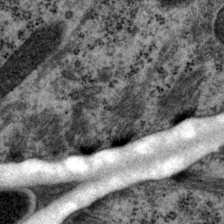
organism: P. pacificus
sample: Pharynx